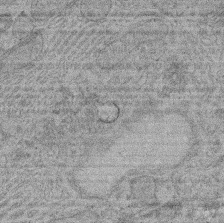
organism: Rat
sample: Salivary granule